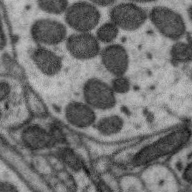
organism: Zebra finch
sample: Brain